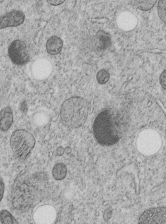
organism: C. elegans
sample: C. elegans embryo early stage